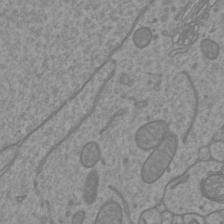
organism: Mouse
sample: Cortical neurons